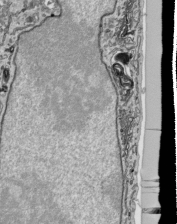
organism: Human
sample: Mitochondria in HCT116 cells